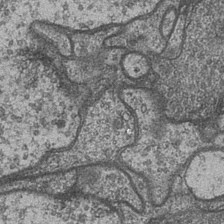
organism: Drosophila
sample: Optic medulla